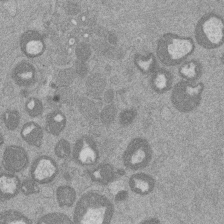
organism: Mouse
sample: Dividing mouse embryo 1 cell stage